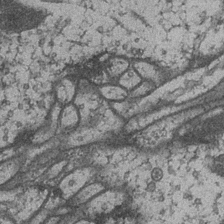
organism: Drosophila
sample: Optic medulla